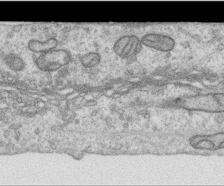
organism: Human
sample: Centriole in RPE cells